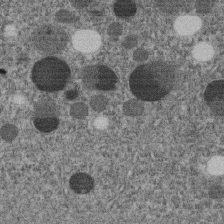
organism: C. elegans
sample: C. elegans embryo early stage